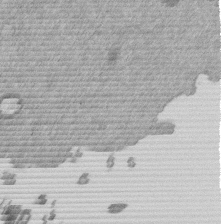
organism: Mouse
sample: Dividing mouse embryo 1 cell stage